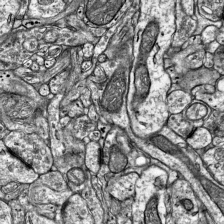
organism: Mouse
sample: Visual Cortex